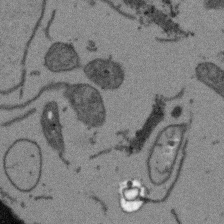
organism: Arabidopsis thaliana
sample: Root tip